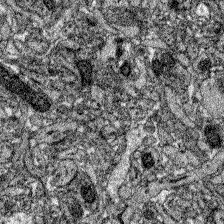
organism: Zebrafish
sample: Larval olfactory bulb